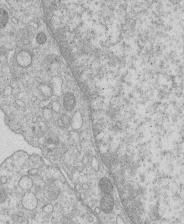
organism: Human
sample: Macrophage cells